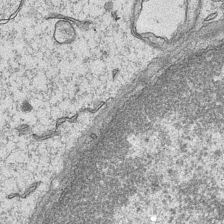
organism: Mouse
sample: CA1 Hippocampus